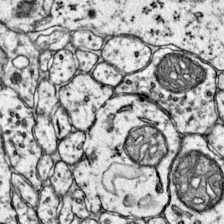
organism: Mouse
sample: Primary visual cortex